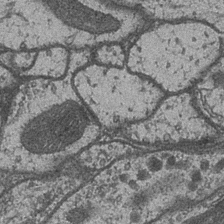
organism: Drosophila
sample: Optic medulla